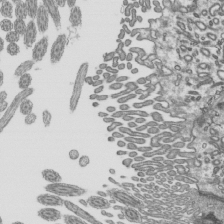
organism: Mouse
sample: Mouse epididymis efferent ductule cilia